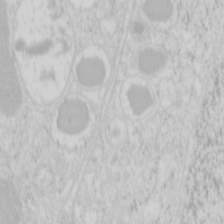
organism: Mouse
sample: Pancreas